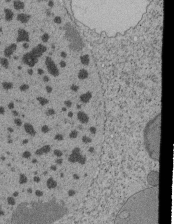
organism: Tetrahymena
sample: Cilia in tetrahymena